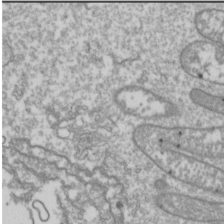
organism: Drosophila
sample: Cell division; meiosis; drosophila spermatocytes